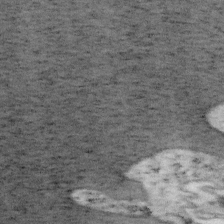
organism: Mouse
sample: OT-I killer T cells with ID8 ovarian cancer cells